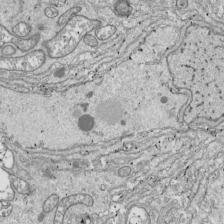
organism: Drosophila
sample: Cell division; meiosis; drosophila spermatocytes